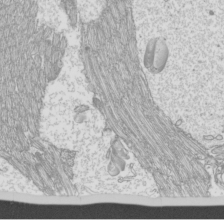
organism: Mouse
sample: Cilia; mouse epididymis